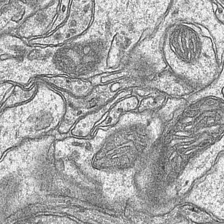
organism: Mouse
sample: CA1 Hippocampus